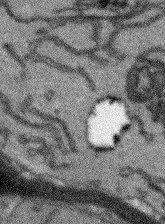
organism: Arabidopsis thaliana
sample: Root tip